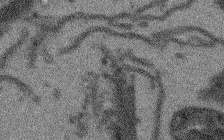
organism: Arabidopsis thaliana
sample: Root tip